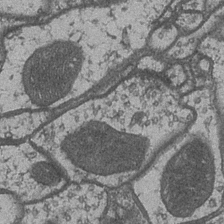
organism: Drosophila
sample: Optic medulla